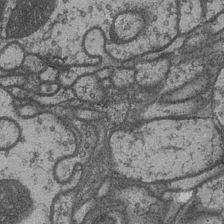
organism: Drosophila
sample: Optic medulla